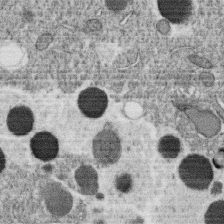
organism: C. elegans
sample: C. elegans oocyte; sperm cells